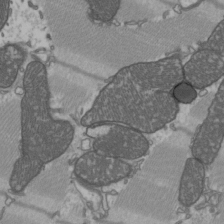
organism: C57BL Mouse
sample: Heart